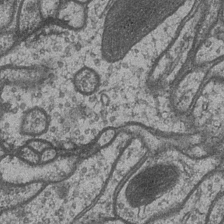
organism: Drosophila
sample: Optic medulla